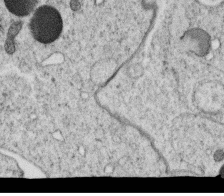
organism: C. elegans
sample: C. elegans oocyte; sperm cells